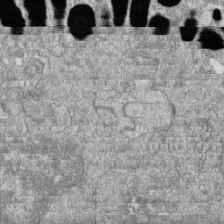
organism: Zebrafish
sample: Cilia; retinal pigment epithelium